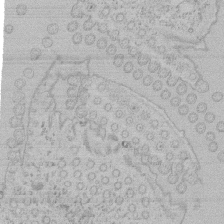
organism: Tetrahymena